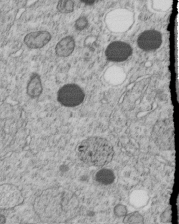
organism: C. elegans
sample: C. elegans embryo early stage